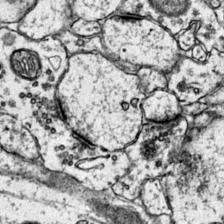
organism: Mouse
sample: Primary visual cortex